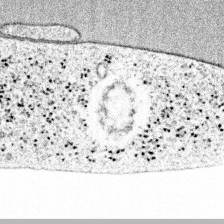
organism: Human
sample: HeLa cells